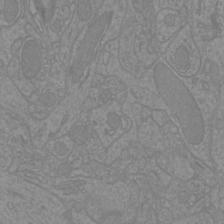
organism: Mouse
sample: Cortical neurons